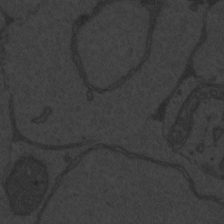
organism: Zebrafish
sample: Macrophage infected with Toxoplasma gondii